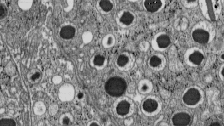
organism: C57BL Mouse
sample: Pancreatic islet